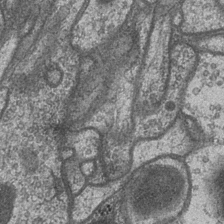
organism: Drosophila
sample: Optic medulla